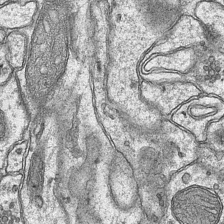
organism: Mouse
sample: CA1 Hippocampus